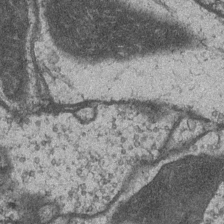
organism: Drosophila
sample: Optic medulla